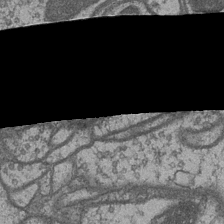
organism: Drosophila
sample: Optic medulla